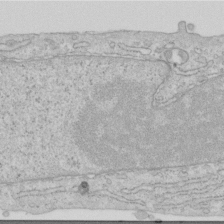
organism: Human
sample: Centriole in RPE cells